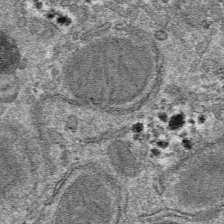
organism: Mouse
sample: Mouse hepatocytes